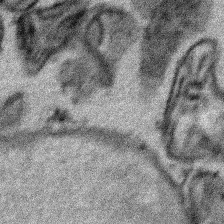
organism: Human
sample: Mitochondria in HCT116 cells